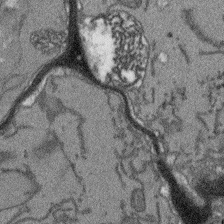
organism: Arabidopsis thaliana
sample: Root tip